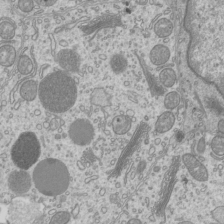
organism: Mouse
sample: Cilia; mouse epididymis